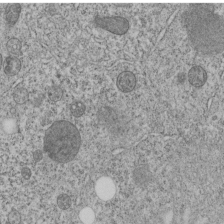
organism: C. elegans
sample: C. elegans embryo early stage